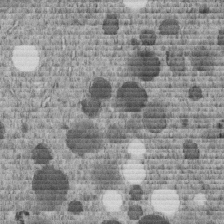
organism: C. elegans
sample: C. elegans embryo early stage